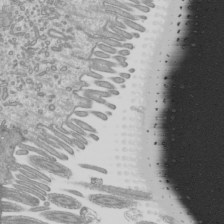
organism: Mouse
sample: Cilia; mouse epididymis